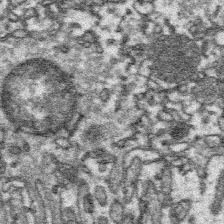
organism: Platynereis dumerilii